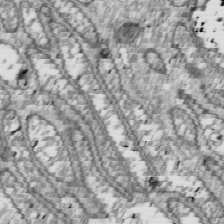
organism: Drosophila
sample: Cell division; meiosis; drosophila spermatocytes